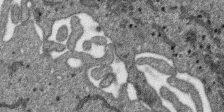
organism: Human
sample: Lung epithelial cells infected with SARS-CoV-2